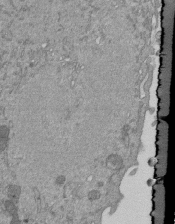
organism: Mouse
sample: ED-1 cell nuclei; centrioles